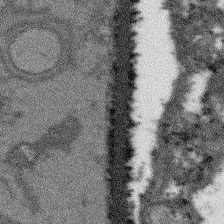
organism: Arabidopsis thaliana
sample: Root tip